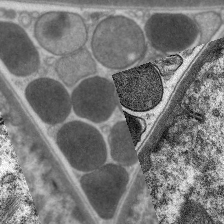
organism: C. elegans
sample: Pharynx